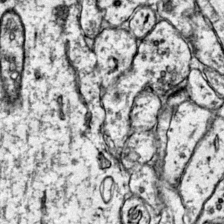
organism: Mouse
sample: Primary visual cortex